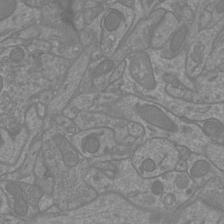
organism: Mouse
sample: Cortical neurons